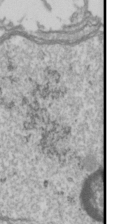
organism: Drosophila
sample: Cell division; meiosis; drosophila spermatocytes